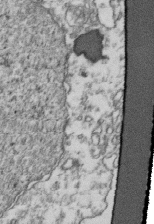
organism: Human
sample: Activated Jurkat CD4+ T cells